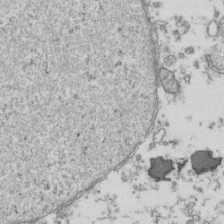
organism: Human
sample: Activated Jurkat CD4+ T cells